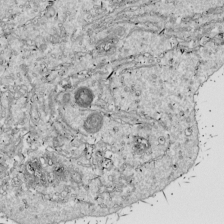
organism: Drosophila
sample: Cell division; meiosis; drosophila spermatocytes